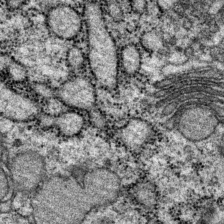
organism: P. pacificus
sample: Pharynx